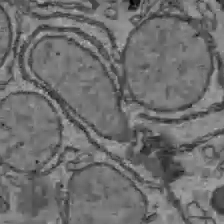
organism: C57BL Mouse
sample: Liver